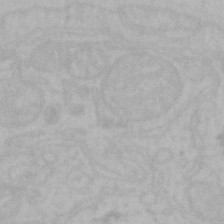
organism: Mouse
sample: Choroid plexus